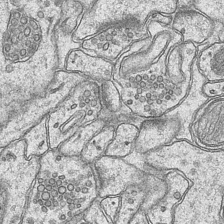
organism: Mouse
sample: CA1 Hippocampus